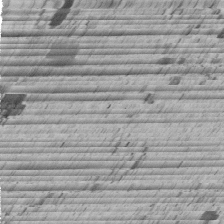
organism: C. elegans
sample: C. elegans embryo early stage